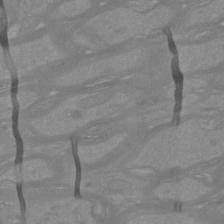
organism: Mouse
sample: Cortical neurons